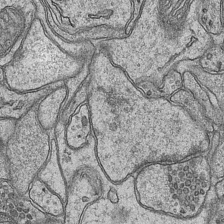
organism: Mouse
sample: CA1 Hippocampus